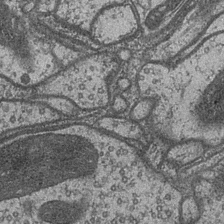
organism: Drosophila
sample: Optic medulla